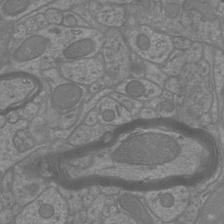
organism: Mouse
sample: Cortical neurons